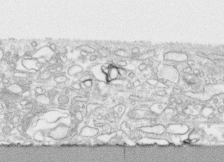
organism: Human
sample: CRL-1474